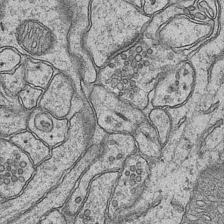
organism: Mouse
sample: CA1 Hippocampus